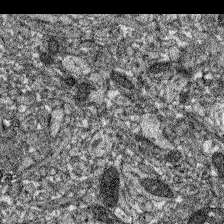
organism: Zebrafish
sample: Larval olfactory bulb